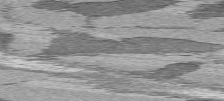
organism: C57BL Mouse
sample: Heart